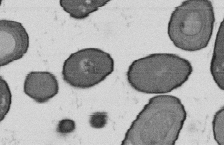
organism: B. subtilis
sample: Bacterial spore